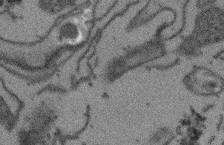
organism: Arabidopsis thaliana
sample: Root tip